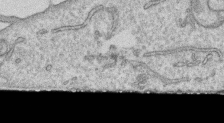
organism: Human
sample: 1205lu cells